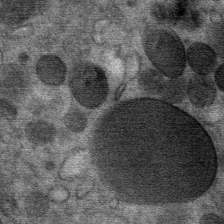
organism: Mouse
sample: Mouse Salivary gland